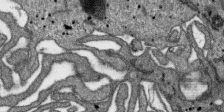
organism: Human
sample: Lung epithelial cells, uninfected (mock) control